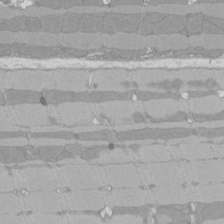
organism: Rat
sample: Left ventricle